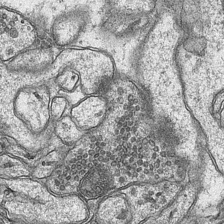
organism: Mouse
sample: CA1 Hippocampus